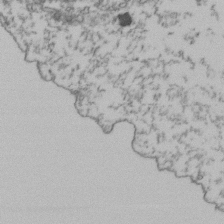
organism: Human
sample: Activated Jurkat CD4+ T cells